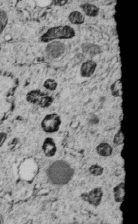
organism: C. elegans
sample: C. elegans embryo early stage